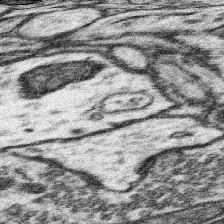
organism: Mouse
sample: Somatosensory cortex neuropil